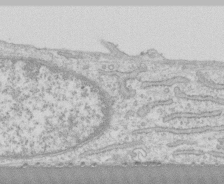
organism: Human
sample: CRL-1474